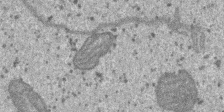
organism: Human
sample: Lung epithelial cells infected with SARS-CoV-2